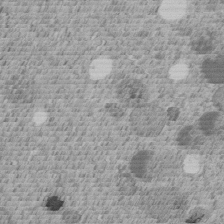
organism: C. elegans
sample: C. elegans embryo early stage